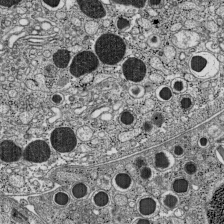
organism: C57BL Mouse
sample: Pancreatic islet